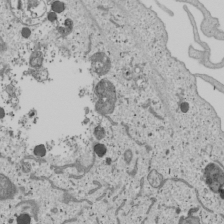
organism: Human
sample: Mitochondria in U2OS cells